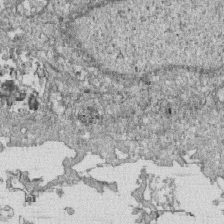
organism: Human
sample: HeLa cell HIV synapse